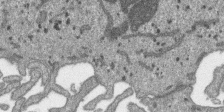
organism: Human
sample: Lung epithelial cells infected with SARS-CoV-2